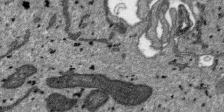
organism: Human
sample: Lung epithelial cells, uninfected (mock) control